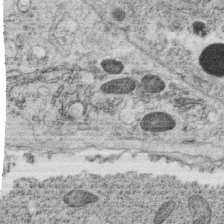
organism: C. elegans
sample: C. elegans oocyte; sperm cells